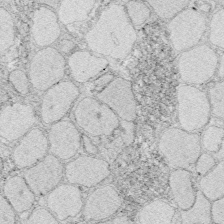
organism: Zebrafish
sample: Whole-Brain